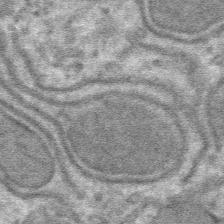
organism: Mouse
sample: Mouse hepatocytes